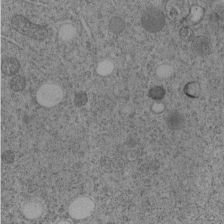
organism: C. elegans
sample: C. elegans embryo early stage